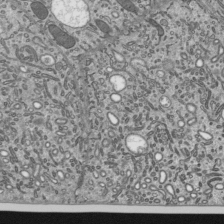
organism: Mouse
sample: Mouse epididymis efferent ductule cilia